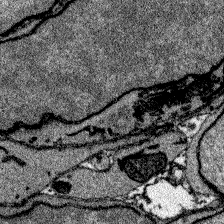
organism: Zebrafish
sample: Larval olfactory bulb